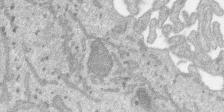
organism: Human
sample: Lung epithelial cells infected with SARS-CoV-2